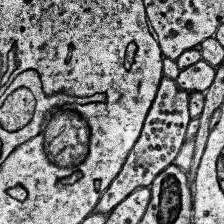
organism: Human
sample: Temporal Lobe